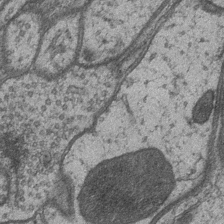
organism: Drosophila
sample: Optic medulla